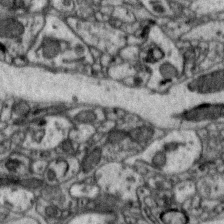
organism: Zebra finch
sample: Brain